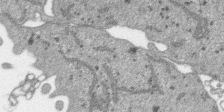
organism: Human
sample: Lung epithelial cells infected with SARS-CoV-2